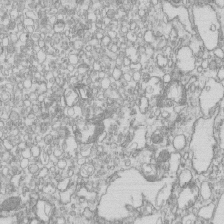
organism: Mouse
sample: Macrophages